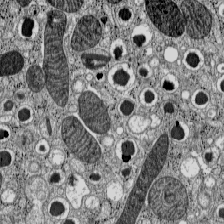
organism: C57BL Mouse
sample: Pancreatic islet